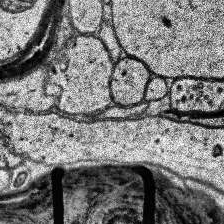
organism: Human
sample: Temporal Lobe